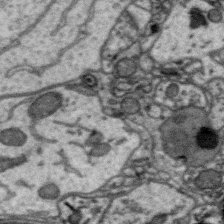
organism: Zebra finch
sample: Brain